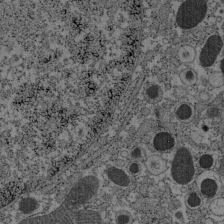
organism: C57BL Mouse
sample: Pancreatic islet